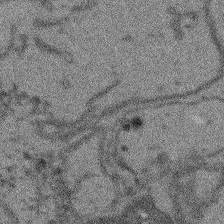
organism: Arabidopsis thaliana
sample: Root tip